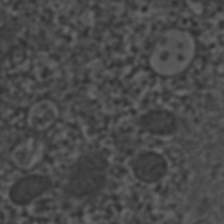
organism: C. elegans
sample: C. elegans embryo